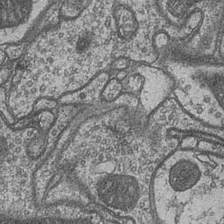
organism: Drosophila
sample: Optic medulla